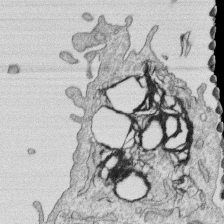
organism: Human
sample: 1205lu cells